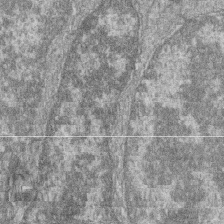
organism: Zebrafish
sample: Cilia; retinal pigment epithelium